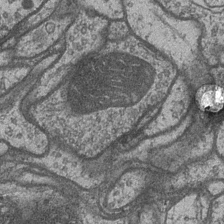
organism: Drosophila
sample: Optic medulla